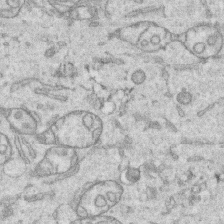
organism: Human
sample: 1205lu cells